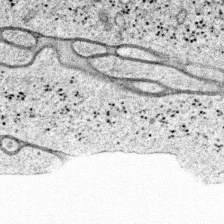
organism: Human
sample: HeLa cells